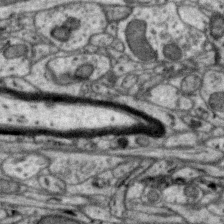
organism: Zebra finch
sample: Brain